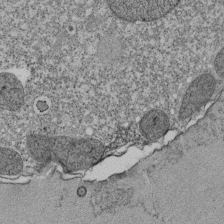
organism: Tetrahymena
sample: Cilia in tetrahymena